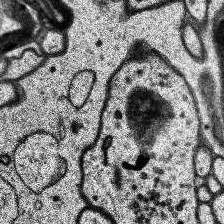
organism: Human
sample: Temporal Lobe